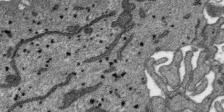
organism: Human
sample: Lung epithelial cells, uninfected (mock) control